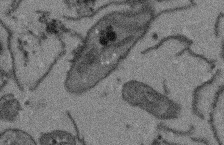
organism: Arabidopsis thaliana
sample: Root tip